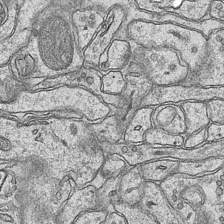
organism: Mouse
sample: CA1 Hippocampus